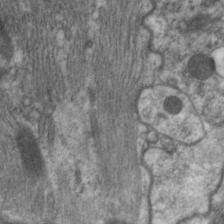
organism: C. elegans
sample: Pharynx